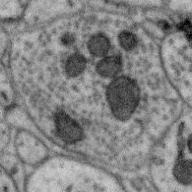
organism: Zebra finch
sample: Brain